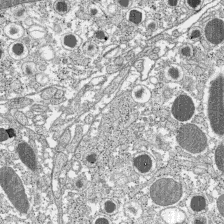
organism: C57BL Mouse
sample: Pancreatic islet